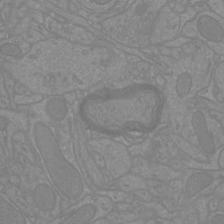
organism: Mouse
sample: Cortical neurons